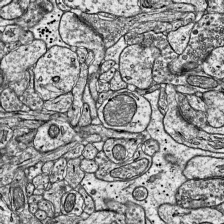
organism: Mouse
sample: Visual Cortex